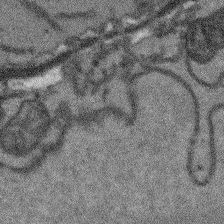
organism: Arabidopsis thaliana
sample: Root tip